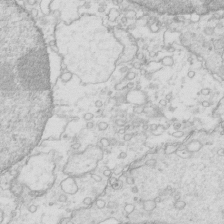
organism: Mouse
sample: Multiciliated cells